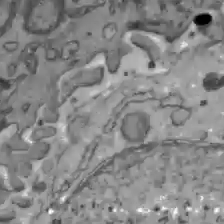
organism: C57BL Mouse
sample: Liver